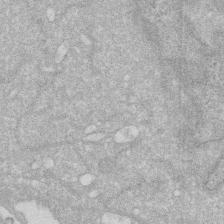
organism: Human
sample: HIV infected U937 cells